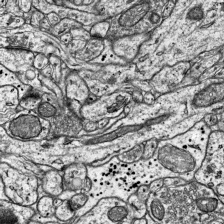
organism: Mouse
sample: Visual Cortex